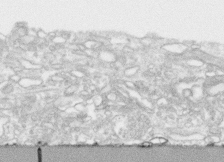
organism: Human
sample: CRL-1474